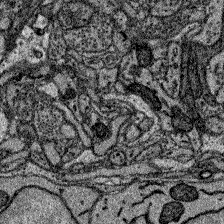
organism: Zebrafish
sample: Larval olfactory bulb